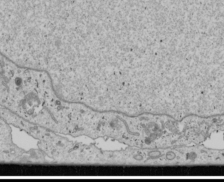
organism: Human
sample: Mitochondria in U2OS cells